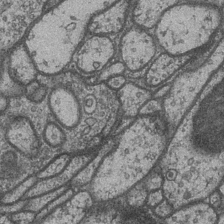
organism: Drosophila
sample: Optic medulla